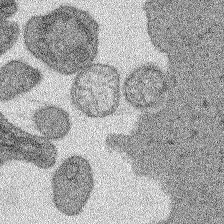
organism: Human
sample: HeLa cells